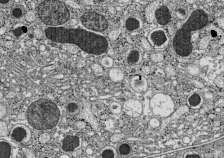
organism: C57BL Mouse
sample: Pancreatic islet